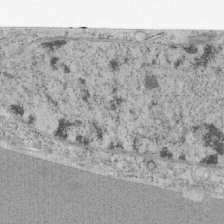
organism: Human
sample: HeLa cells